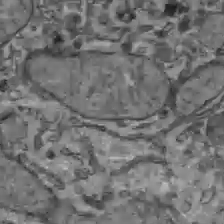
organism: C57BL Mouse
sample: Liver